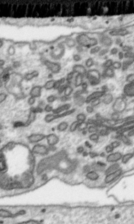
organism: Toxoplasma gondii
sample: Parasites in a vacuole inside a host cell